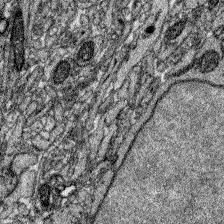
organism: Zebrafish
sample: Larval olfactory bulb